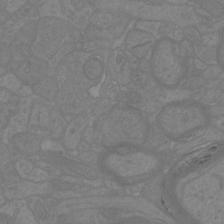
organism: Mouse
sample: Cortical neurons